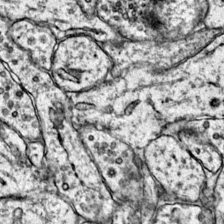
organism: Mouse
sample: Primary visual cortex